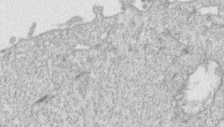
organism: Human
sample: HeLa cell HIV synapse